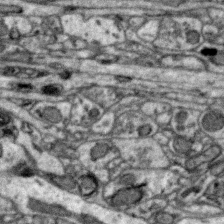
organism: Zebra finch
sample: Brain